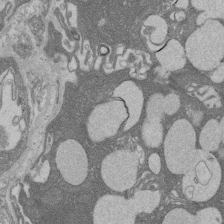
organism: Rat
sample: Salivary granule